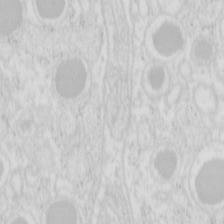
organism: Mouse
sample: Pancreas